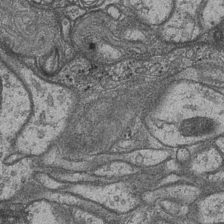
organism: Drosophila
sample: Optic medulla